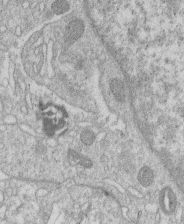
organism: Human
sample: Macrophage cells